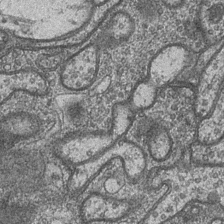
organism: Drosophila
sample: Optic medulla